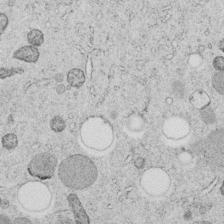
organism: C. elegans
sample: C. elegans embryo early stage